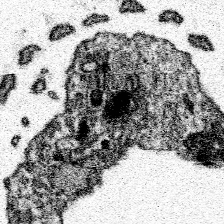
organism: Spongilla lacustris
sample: Neuroid cell